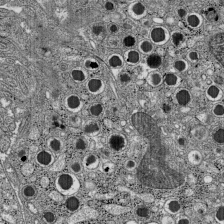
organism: C57BL Mouse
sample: Pancreatic islet